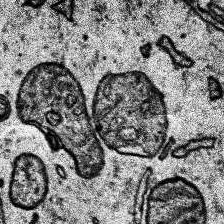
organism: Human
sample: Temporal Lobe